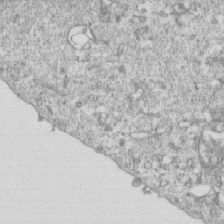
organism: Mouse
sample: Activated OT-1 CD8+ T cells